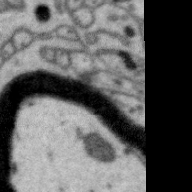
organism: Zebra finch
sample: Brain